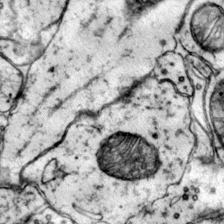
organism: Mouse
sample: Primary visual cortex